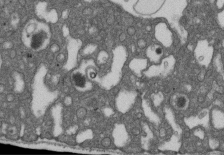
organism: Drosophila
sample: Nephrocyte